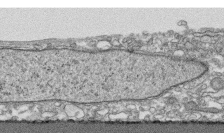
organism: Human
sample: CRL-1474